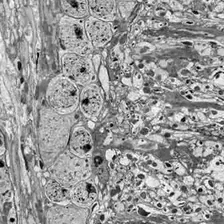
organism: Drosophila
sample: Optic lobe